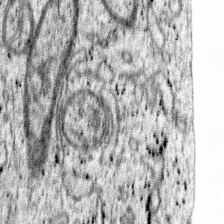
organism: Human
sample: HeLa cells